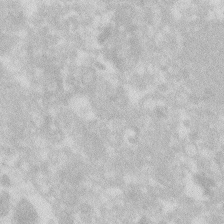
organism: Zebrafish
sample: Macrophage